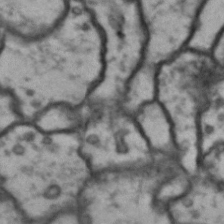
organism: Drosophila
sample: Brain